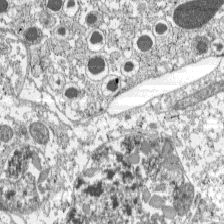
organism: C57BL Mouse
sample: Pancreatic islet